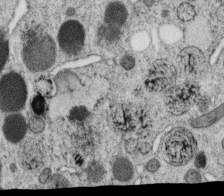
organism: C. elegans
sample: C. elegans oocyte; sperm cells